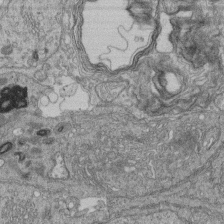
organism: Human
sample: Retinal organoid Rod and Cone cells